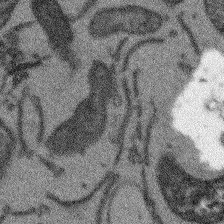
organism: Arabidopsis thaliana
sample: Root tip